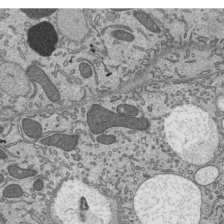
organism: Mouse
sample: Mouse epididymis efferent ductule cilia